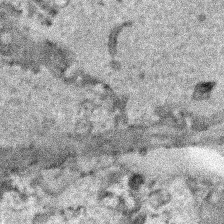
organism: Human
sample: Mitochondria in HCT116 cells